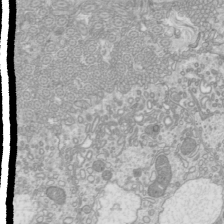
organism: Mouse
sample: Cilia; mouse epididymis